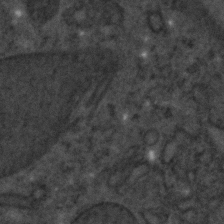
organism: C. elegans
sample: C. elegans embryo